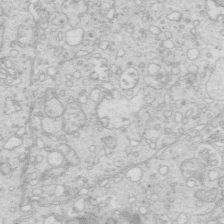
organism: Mouse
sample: Multiciliated cells